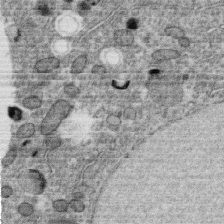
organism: C. elegans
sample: C. elegans oocyte; sperm cells